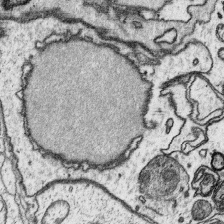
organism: Platynereis dumerilii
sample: Parapodia